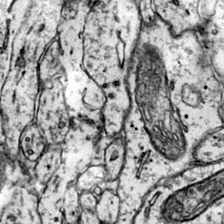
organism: Mouse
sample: Primary visual cortex